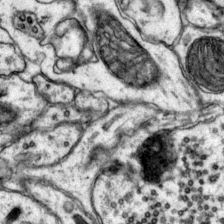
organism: Mouse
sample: Primary visual cortex